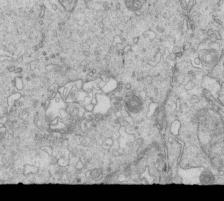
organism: Mouse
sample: Multiciliated cells